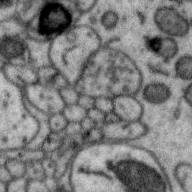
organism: Zebra finch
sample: Brain